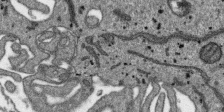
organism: Human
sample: Lung epithelial cells, uninfected (mock) control